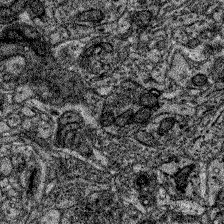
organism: Zebrafish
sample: Larval olfactory bulb